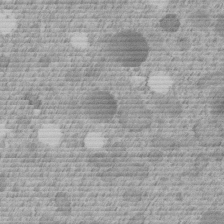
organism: C. elegans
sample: C. elegans embryo early stage